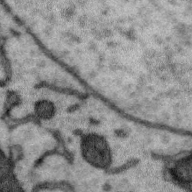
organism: Zebra finch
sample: Brain